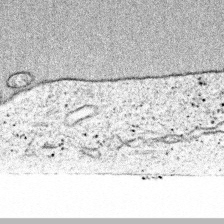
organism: Human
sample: HeLa cells